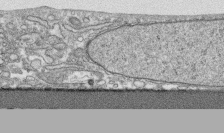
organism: Human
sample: CRL-1474